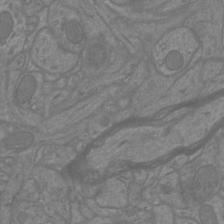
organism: Mouse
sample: Cortical neurons